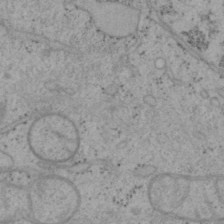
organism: Human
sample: HeLa cells